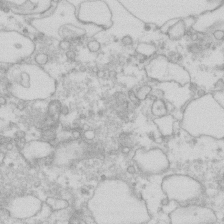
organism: Human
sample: Fibroblast cells